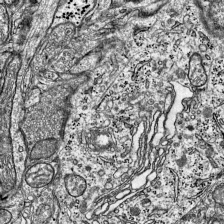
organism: Mouse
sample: Visual Cortex